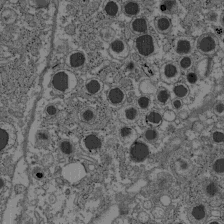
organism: C57BL Mouse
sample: Pancreatic islet